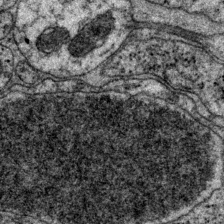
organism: P. pacificus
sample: Pharynx